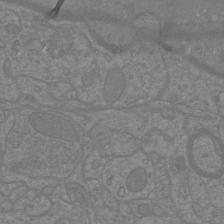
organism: Mouse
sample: Cortical neurons